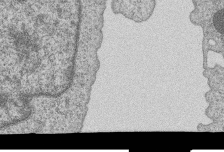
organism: Human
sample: MDA-MB-231 cells